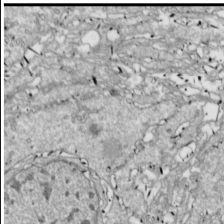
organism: Drosophila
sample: Cell division; meiosis; drosophila spermatocytes